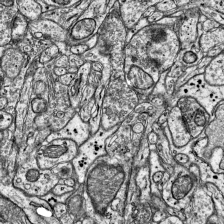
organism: Mouse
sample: Visual Cortex